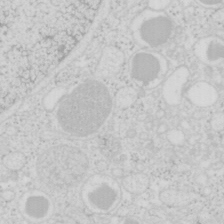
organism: Mouse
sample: Pancreas